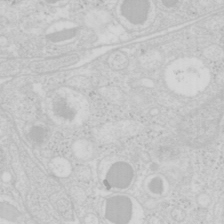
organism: Mouse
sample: Pancreas